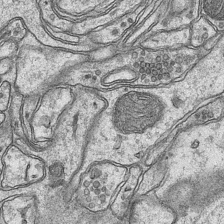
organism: Mouse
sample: CA1 Hippocampus